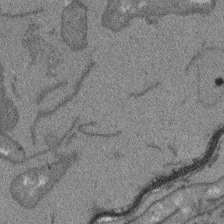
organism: Arabidopsis thaliana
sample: Root tip